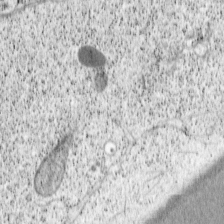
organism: African green monkey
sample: COS-7 cells